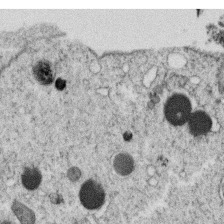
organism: C. elegans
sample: C. elegans oocyte; sperm cells